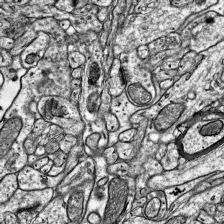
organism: Mouse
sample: Visual Cortex